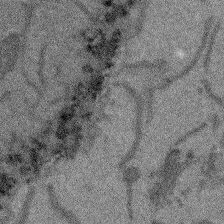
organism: Arabidopsis thaliana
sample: Root tip